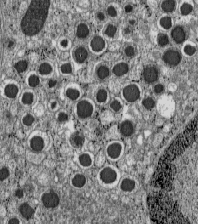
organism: C57BL Mouse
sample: Pancreatic islet